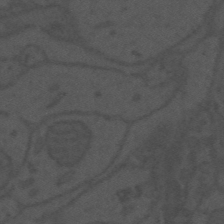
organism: Mouse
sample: Suprachiasmatic nucleus